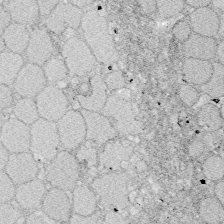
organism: Zebrafish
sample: Whole-Brain